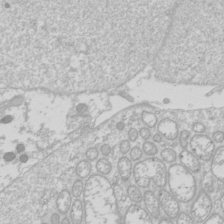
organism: Drosophila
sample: Cell division; meiosis; drosophila spermatocytes